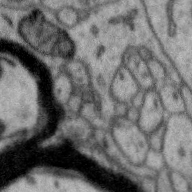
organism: Zebra finch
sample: Brain